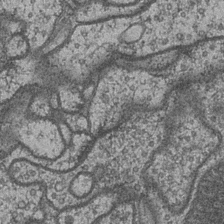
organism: Drosophila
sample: Optic medulla